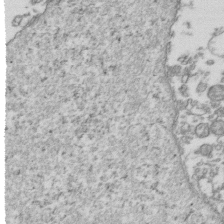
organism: Human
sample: Activated Jurkat CD4+ T cells